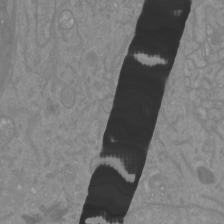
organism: Mouse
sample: Cortical neurons